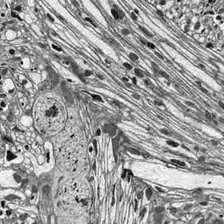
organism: Drosophila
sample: Optic lobe